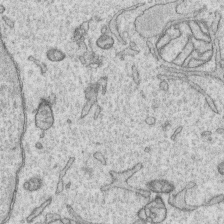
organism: Human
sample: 1205lu cells